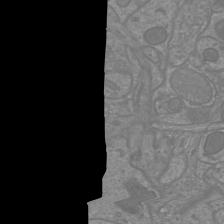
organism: Mouse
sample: Cortical neurons